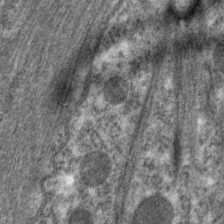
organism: C. elegans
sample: Pharynx